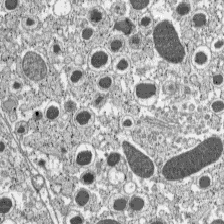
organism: C57BL Mouse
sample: Pancreatic islet